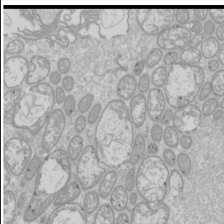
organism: Drosophila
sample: Cell division; meiosis; drosophila spermatocytes